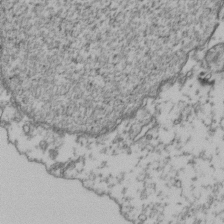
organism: Human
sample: Activated Jurkat CD4+ T cells